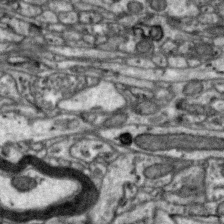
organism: Zebra finch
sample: Brain